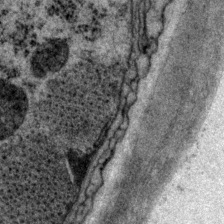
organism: P. pacificus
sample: Pharynx